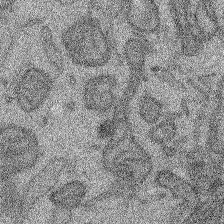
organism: Human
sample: HeLa cells